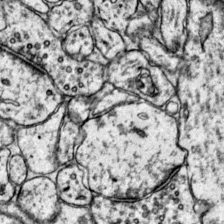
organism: Mouse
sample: Primary visual cortex